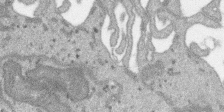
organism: Human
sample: Lung epithelial cells infected with SARS-CoV-2